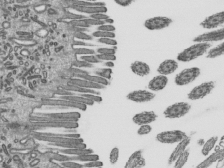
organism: Mouse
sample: Mouse epididymis efferent ductule cilia